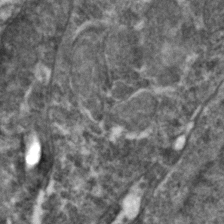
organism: Zebrafish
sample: Zebrafish embryo